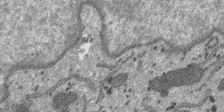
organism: Human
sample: Lung epithelial cells infected with SARS-CoV-2